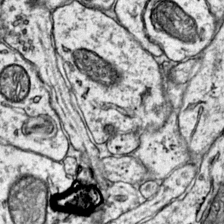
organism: Mouse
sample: Primary visual cortex